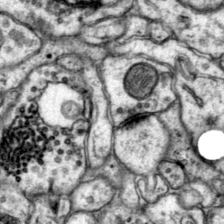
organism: Mouse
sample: Primary visual cortex